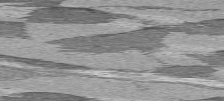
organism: C57BL Mouse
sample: Heart